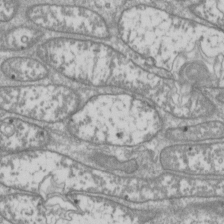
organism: Drosophila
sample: Cell division; meiosis; drosophila spermatocytes